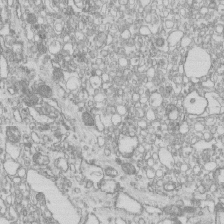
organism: Mouse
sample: Macrophages